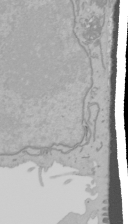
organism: Mouse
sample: Cancer cell death in ED-1 cells